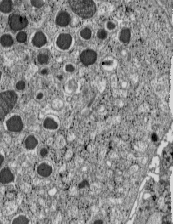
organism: C57BL Mouse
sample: Pancreatic islet